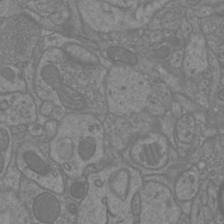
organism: Mouse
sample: Cortical neurons